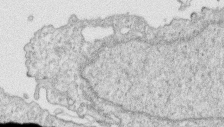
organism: Human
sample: HeLa cell HIV synapse